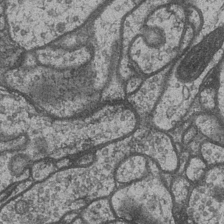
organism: Drosophila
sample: Optic medulla